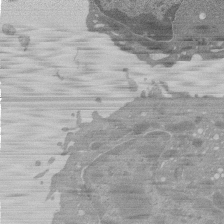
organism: Mouse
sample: Activated Pmel transgenic CD8+ T Cells